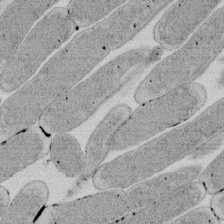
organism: E. coli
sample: Bacterial nucleoid